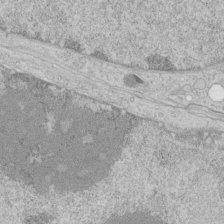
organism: Human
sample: Mitochondria in HCT116 cells